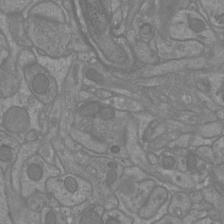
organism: Mouse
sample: Cortical neurons